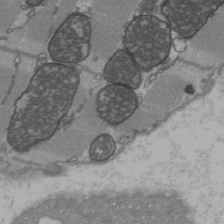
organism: C57BL Mouse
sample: Heart